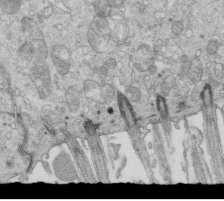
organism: Mouse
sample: Multiciliated cells